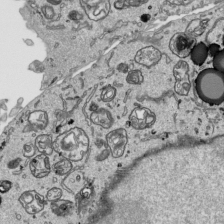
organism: Human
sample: Mitochondria in HCT116 cells